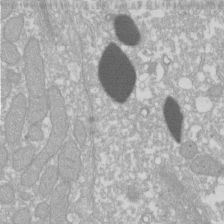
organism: Xenopus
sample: Cilia; centrioles in frog embryo cells